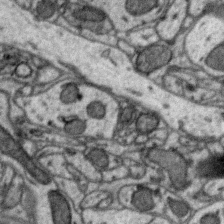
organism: Zebra finch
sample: Brain